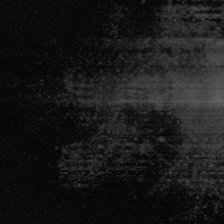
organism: Human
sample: Mitochondria in U2OS cells